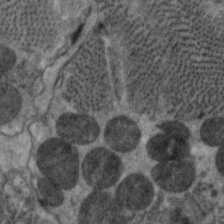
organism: C. elegans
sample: Pharynx